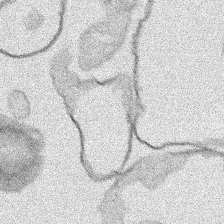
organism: Human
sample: Mitochondria in HCT116 cells